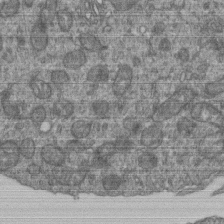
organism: Human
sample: Retinal organoid Rod and Cone cells